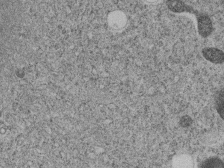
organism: C. elegans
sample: C. elegans embryo early stage